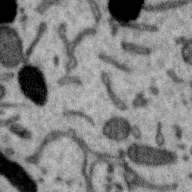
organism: Zebra finch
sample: Brain